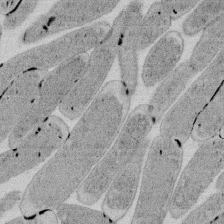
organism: E. coli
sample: Bacterial nucleoid